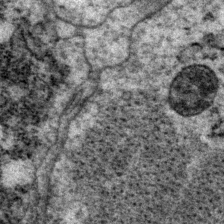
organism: P. pacificus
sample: Pharynx